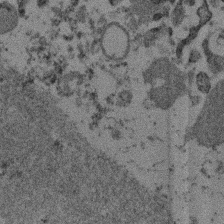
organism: Mouse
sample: Dividing mouse embryo 1 cell stage